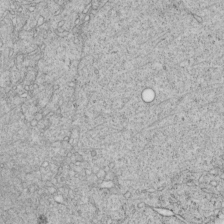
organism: C. elegans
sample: C. elegans embryo early stage